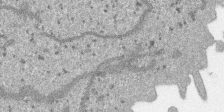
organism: Human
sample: Lung epithelial cells infected with SARS-CoV-2